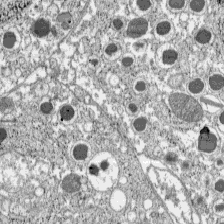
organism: C57BL Mouse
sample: Pancreatic islet